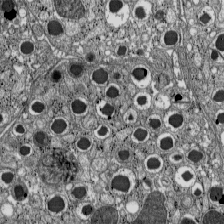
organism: C57BL Mouse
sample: Pancreatic islet